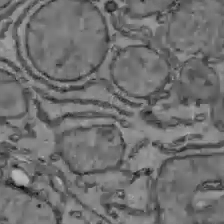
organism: C57BL Mouse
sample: Liver